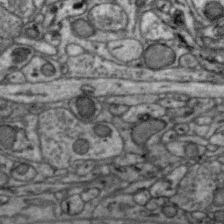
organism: Zebra finch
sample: Brain